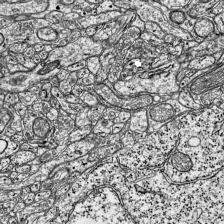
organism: Mouse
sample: Visual Cortex